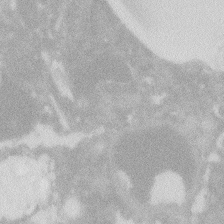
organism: Zebrafish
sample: Macrophage